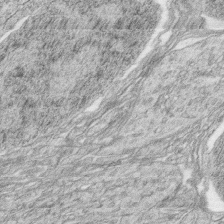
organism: Zebrafish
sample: synaptic ribbons in rod cells and cone cells